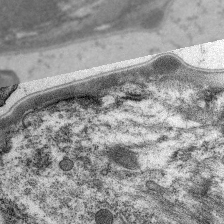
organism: C. elegans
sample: Pharynx